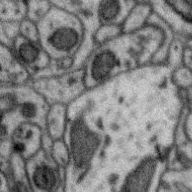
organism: Zebra finch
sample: Brain